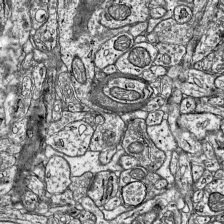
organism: Mouse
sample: Visual Cortex